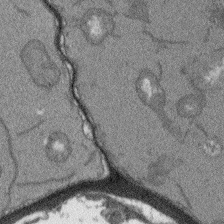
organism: Arabidopsis thaliana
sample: Root tip